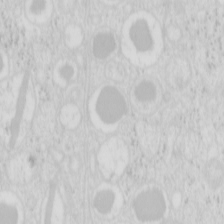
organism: Mouse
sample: Pancreas